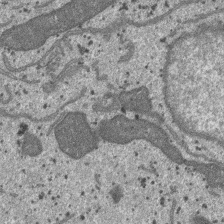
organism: Human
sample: Lung epithelial cells infected with SARS-CoV-2